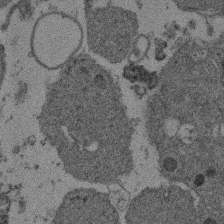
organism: Mouse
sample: Dividing mouse embryo 1 cell stage